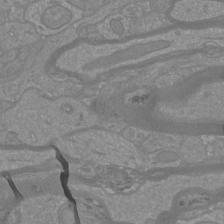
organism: Mouse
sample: Cortical neurons